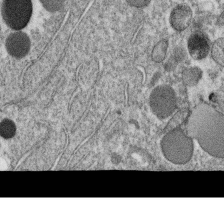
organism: C. elegans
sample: C. elegans oocyte; sperm cells